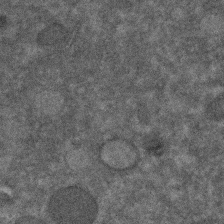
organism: C. elegans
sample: C. elegans embryo